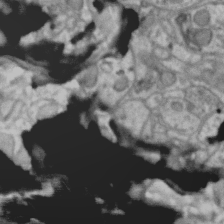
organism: Zebra finch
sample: Brain